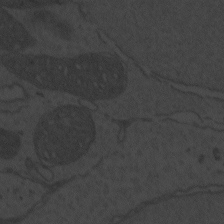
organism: Zebrafish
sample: Macrophage infected with Toxoplasma gondii